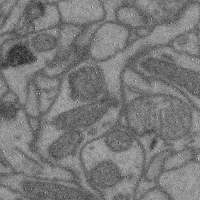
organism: Mouse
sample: Cerebral cortex